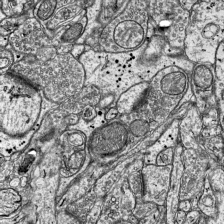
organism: Mouse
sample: Visual Cortex